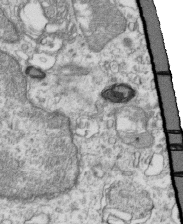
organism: Mouse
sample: Activated OT-1 CD8+ T cells